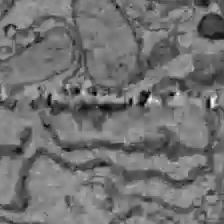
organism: C57BL Mouse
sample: Liver